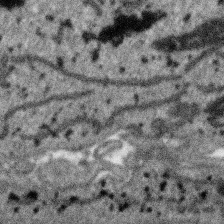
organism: Human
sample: Lung epithelial cells infected with SARS-CoV-2